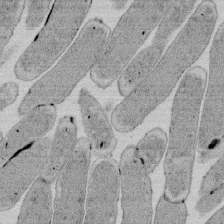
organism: E. coli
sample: Bacterial nucleoid